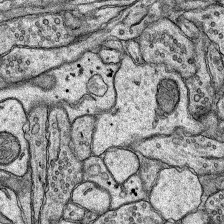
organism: Rat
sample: Hippocampus